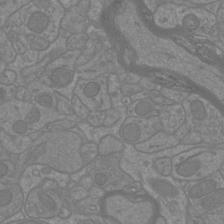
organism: Mouse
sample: Cortical neurons